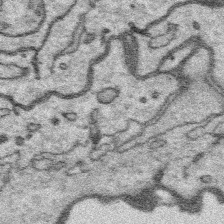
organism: Platynereis dumerilii